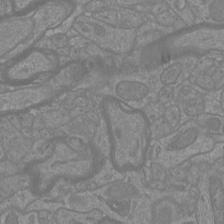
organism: Mouse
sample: Cortical neurons